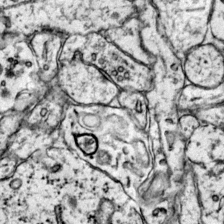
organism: Mouse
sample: Primary visual cortex